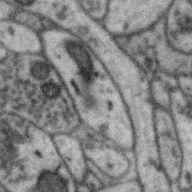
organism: Zebra finch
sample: Brain